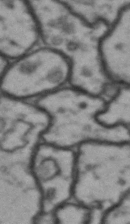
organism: Drosophila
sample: Brain